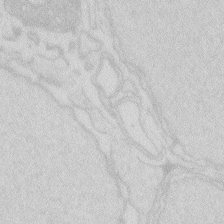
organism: Zebrafish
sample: Macrophage